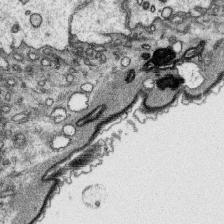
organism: Platynereis dumerilii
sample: Parapodia